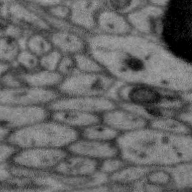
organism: Zebra finch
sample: Brain